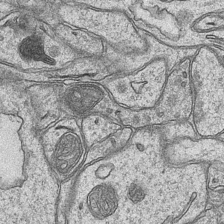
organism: Mouse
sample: CA1 Hippocampus